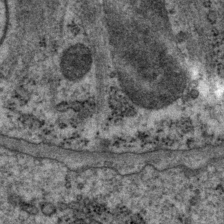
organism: P. pacificus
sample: Pharynx